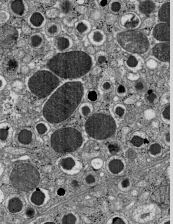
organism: C57BL Mouse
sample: Pancreatic islet